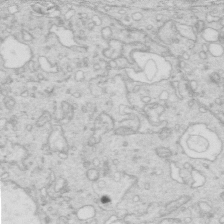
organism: Mouse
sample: Multiciliated cells